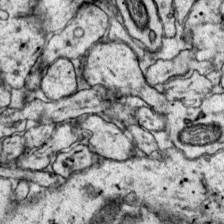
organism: Mouse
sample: Primary visual cortex